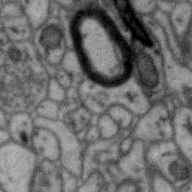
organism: Zebra finch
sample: Brain